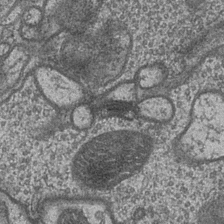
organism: Drosophila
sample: Optic medulla